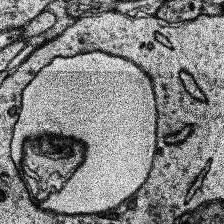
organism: Human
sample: Temporal Lobe